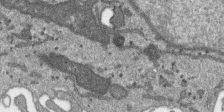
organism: Human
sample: Lung epithelial cells infected with SARS-CoV-2